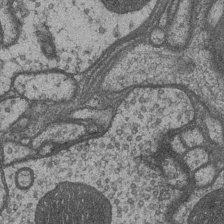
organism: Drosophila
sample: Optic medulla